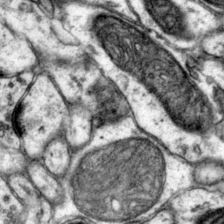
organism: Mouse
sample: Primary visual cortex